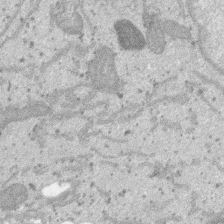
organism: Human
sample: Lung epithelial cells infected with SARS-CoV-2